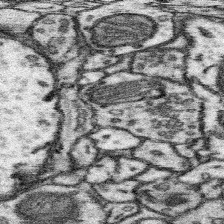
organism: Mouse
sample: Somatosensory cortex neuropil